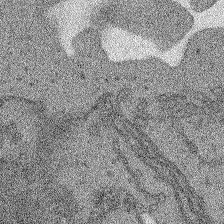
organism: Human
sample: HeLa cells